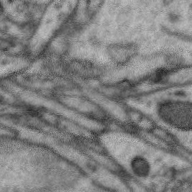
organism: Zebra finch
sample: Brain